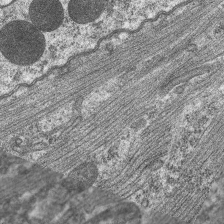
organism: C. elegans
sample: Pharynx